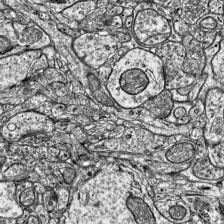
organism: Mouse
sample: Visual Cortex